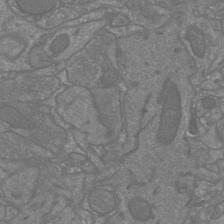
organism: Mouse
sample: Cortical neurons